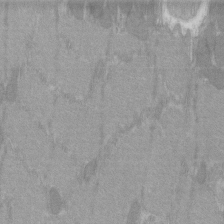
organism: C57BL Mouse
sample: Tibialis anterior muscle cell